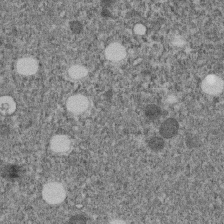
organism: C. elegans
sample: C. elegans embryo early stage